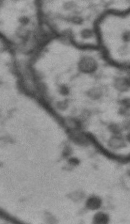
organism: Drosophila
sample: Brain